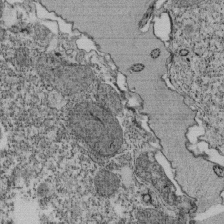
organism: Tetrahymena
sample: Cilia in tetrahymena